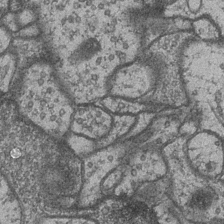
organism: Drosophila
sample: Optic medulla